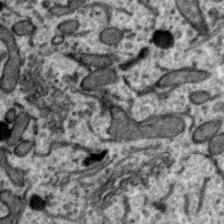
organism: Zebra finch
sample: Brain